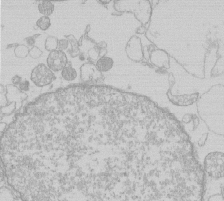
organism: Human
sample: Macrophage cells